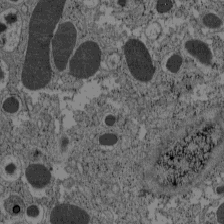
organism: C57BL Mouse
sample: Pancreatic islet